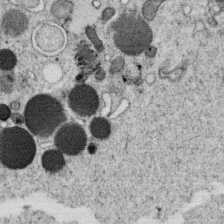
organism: C. elegans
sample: C. elegans oocyte; sperm cells